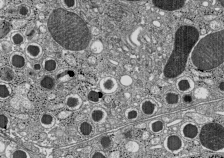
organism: C57BL Mouse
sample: Pancreatic islet